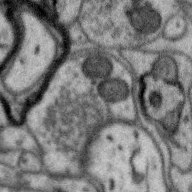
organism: Zebra finch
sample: Brain